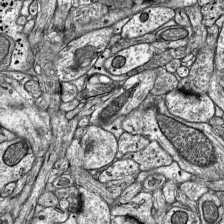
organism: Mouse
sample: Visual Cortex